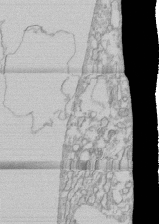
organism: Human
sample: CRL-1474